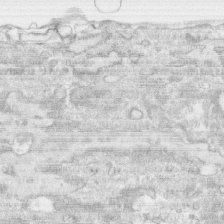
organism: Human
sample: CRL-1474